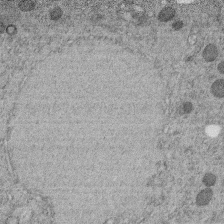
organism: C. elegans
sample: C. elegans embryo early stage